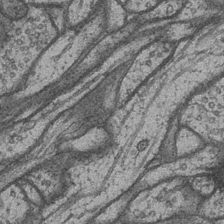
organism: Drosophila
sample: Optic medulla